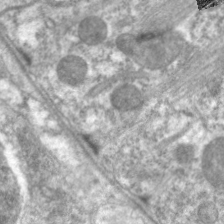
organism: C. elegans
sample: Pharynx